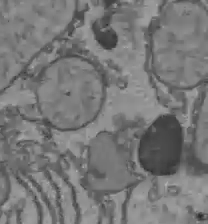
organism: C57BL Mouse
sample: Liver